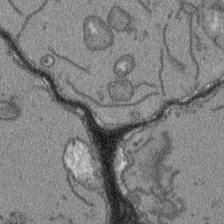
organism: Arabidopsis thaliana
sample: Root tip